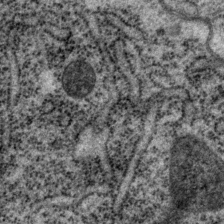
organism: P. pacificus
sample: Pharynx